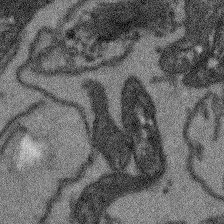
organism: Arabidopsis thaliana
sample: Root tip